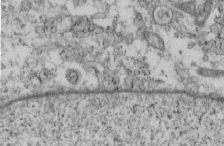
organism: Mouse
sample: Cilia; retinal pigment epithelium